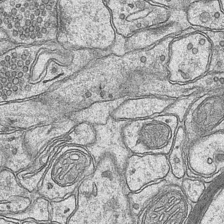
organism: Mouse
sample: CA1 Hippocampus